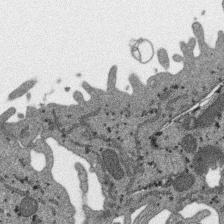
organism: Human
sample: Lung epithelial cells infected with SARS-CoV-2